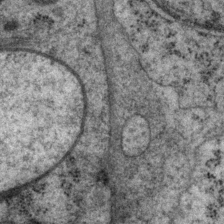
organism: P. pacificus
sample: Pharynx